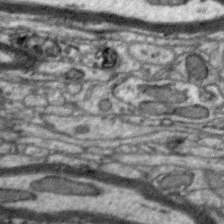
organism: Zebra finch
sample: Brain